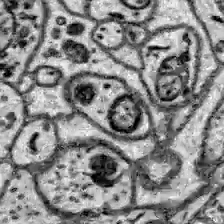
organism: Zebrafish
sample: Brain